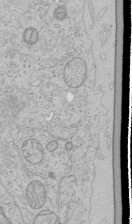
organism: Human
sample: Mitochondria in HCT116 cells